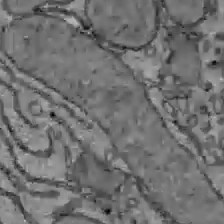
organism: C57BL Mouse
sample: Liver